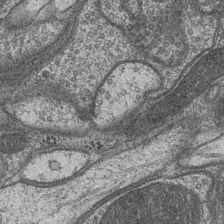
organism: Drosophila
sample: Optic medulla